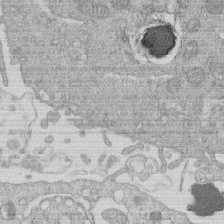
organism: Human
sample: Macrophage cells